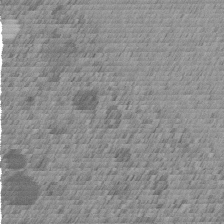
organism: C. elegans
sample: C. elegans embryo early stage